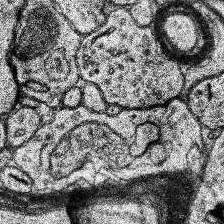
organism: Human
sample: Temporal Lobe